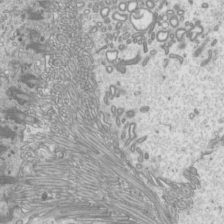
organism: Mouse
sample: Cilia; mouse epididymis